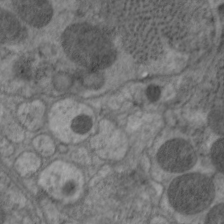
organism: C. elegans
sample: Pharynx